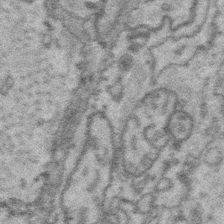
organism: Platynereis dumerilii